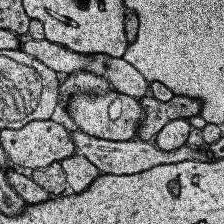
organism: Human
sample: Temporal Lobe